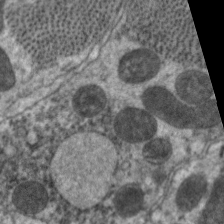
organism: C. elegans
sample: Pharynx